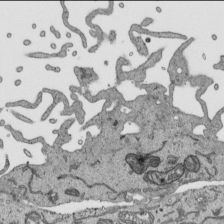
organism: Human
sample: Mitochondria in HCT116 cells